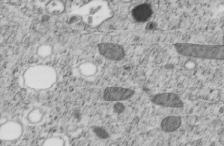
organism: C. elegans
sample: C. elegans embryo early stage